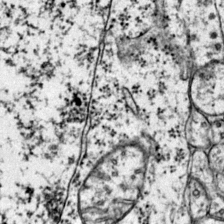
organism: Mouse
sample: Primary visual cortex